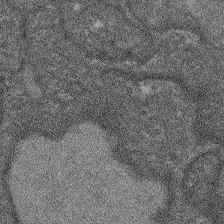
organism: Arabidopsis thaliana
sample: Root tip